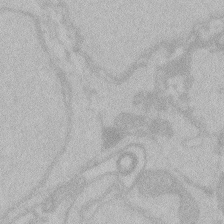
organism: Zebrafish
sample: Macrophage infected with Toxoplasma gondii